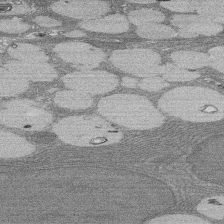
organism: Rat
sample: Salivary granule